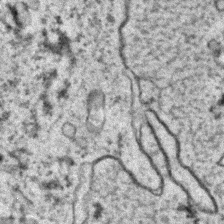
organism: C. elegans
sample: C. elegans embryo